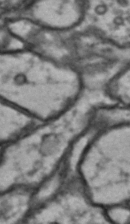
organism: Drosophila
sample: Brain